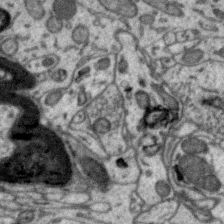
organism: Zebra finch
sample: Brain